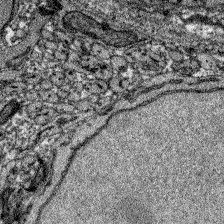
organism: Zebrafish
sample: Larval olfactory bulb